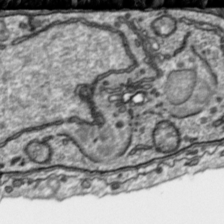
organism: Toxoplasma gondii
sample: Parasites in a vacuole inside a host cell